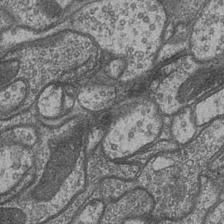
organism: Drosophila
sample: Optic medulla